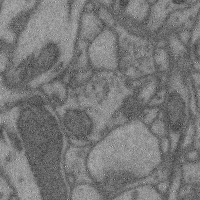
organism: Mouse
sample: Cerebral cortex